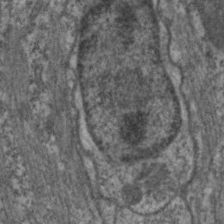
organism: C. elegans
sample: Pharynx